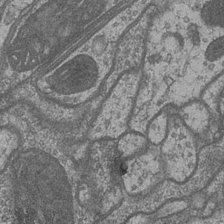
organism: Drosophila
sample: Optic medulla